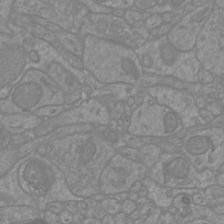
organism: Mouse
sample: Cortical neurons